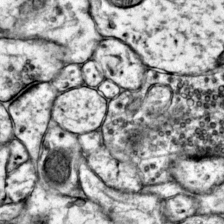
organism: Mouse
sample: Primary visual cortex